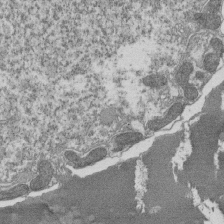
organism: Tetrahymena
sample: Cilia in tetrahymena